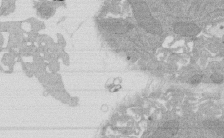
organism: Rat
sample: Salivary granule